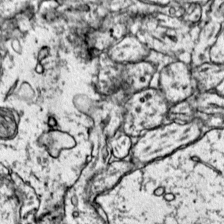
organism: Mouse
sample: Primary visual cortex